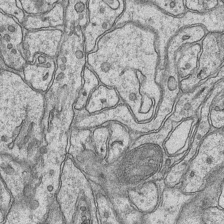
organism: Mouse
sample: CA1 Hippocampus